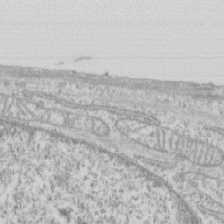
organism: Human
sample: CRL-1474